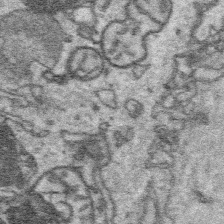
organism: Platynereis dumerilii